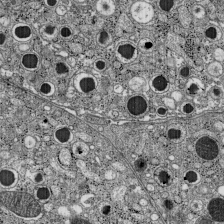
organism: C57BL Mouse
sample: Pancreatic islet